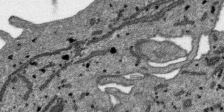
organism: Human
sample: Lung epithelial cells, uninfected (mock) control